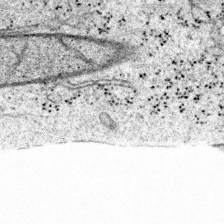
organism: Human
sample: HeLa cells